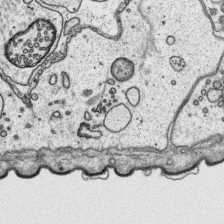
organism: Platynereis dumerilii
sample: Parapodia